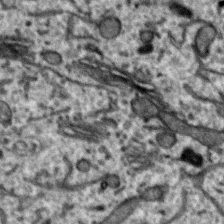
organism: Zebra finch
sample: Brain